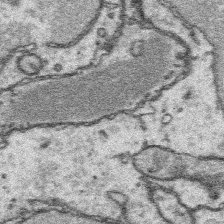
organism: Platynereis dumerilii